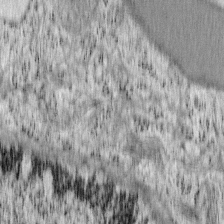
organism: Human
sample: HeLa cells